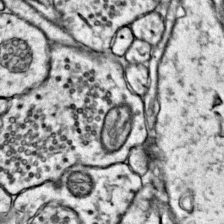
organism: Mouse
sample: Primary visual cortex